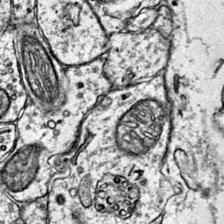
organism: Mouse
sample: Primary visual cortex